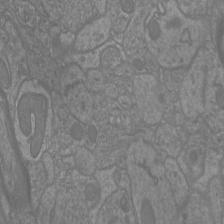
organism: Mouse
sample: Cortical neurons